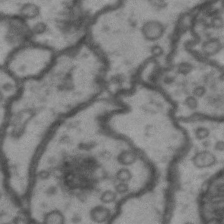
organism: Drosophila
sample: Brain